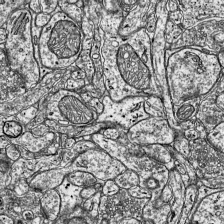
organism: Mouse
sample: Visual Cortex